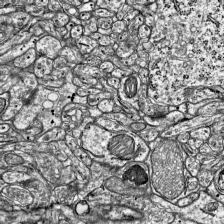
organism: Mouse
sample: Visual Cortex